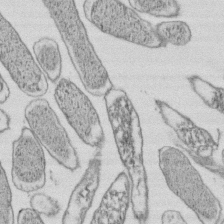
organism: E. coli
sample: Bacterial nucleoid